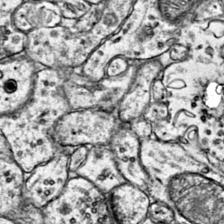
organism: Mouse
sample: Primary visual cortex